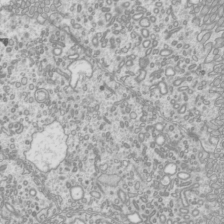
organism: Mouse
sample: Cilia; mouse epididymis